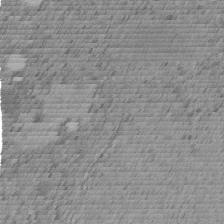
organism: C. elegans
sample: C. elegans embryo early stage